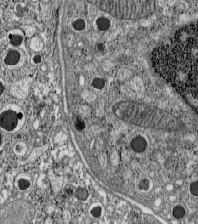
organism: C57BL Mouse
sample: Pancreatic islet